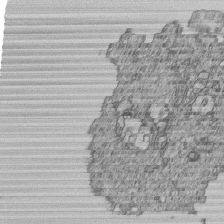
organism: Human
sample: MDA-MB-231 cells